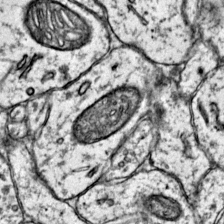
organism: Mouse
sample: Primary visual cortex